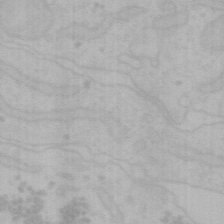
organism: Mouse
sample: Choroid plexus